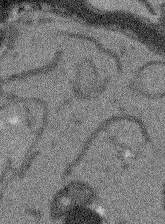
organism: Arabidopsis thaliana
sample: Root tip